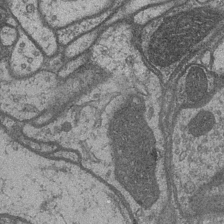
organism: Drosophila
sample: Optic medulla